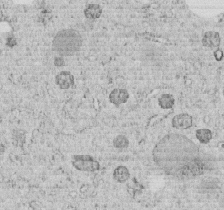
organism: C. elegans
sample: C. elegans embryo early stage